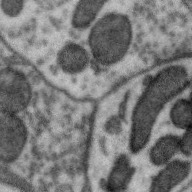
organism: Zebra finch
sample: Brain